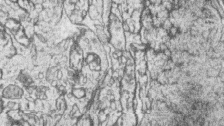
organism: Zebrafish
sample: synaptic ribbons in rod cells and cone cells